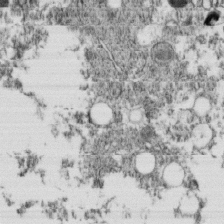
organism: C. elegans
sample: C. elegans embryo early stage